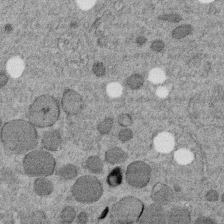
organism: C. elegans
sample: C. elegans embryo early stage